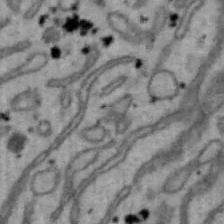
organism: Mouse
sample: Liver